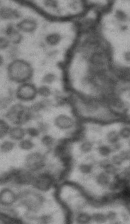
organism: Drosophila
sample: Brain